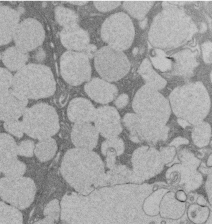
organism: Rat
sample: Salivary granule